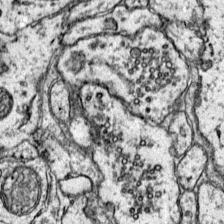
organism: Mouse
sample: Primary visual cortex